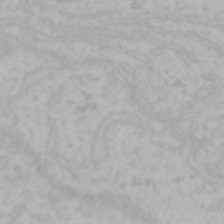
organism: Mouse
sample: Choroid plexus